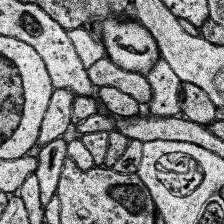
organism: Human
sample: Temporal Lobe